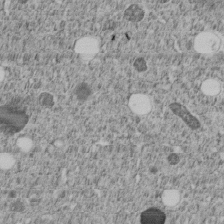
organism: C. elegans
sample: C. elegans embryo early stage